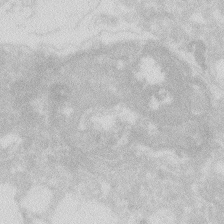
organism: Zebrafish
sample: Macrophage